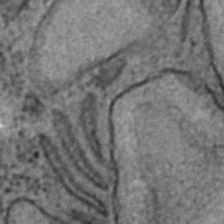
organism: C. elegans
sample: C. elegans embryo